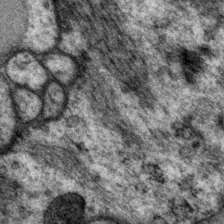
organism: P. pacificus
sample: Pharynx